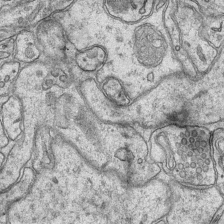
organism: Mouse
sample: CA1 Hippocampus